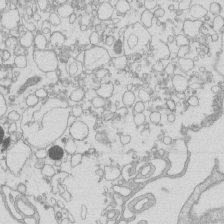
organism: Mouse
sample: Macrophages